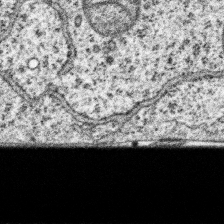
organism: Human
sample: HeLa cells